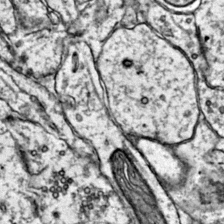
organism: Mouse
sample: Primary visual cortex